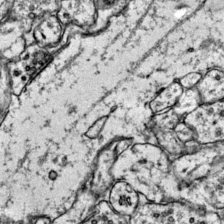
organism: Mouse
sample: Primary visual cortex